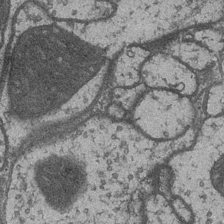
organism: Drosophila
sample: Optic medulla